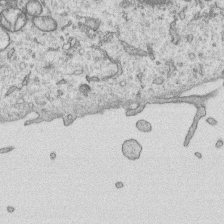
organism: Human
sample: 1205lu cells